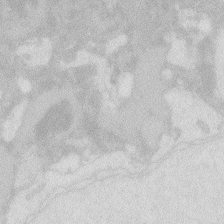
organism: Zebrafish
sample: Macrophage